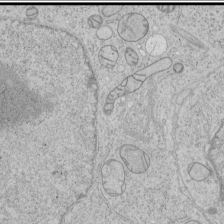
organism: Human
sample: Mitochondria in HCT116 cells